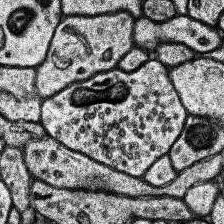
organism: Human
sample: Temporal Lobe